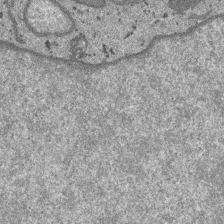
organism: Human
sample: Lung epithelial cells infected with SARS-CoV-2